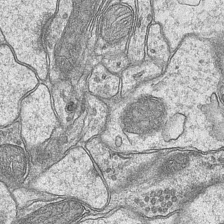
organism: Mouse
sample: CA1 Hippocampus